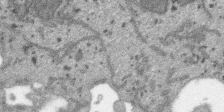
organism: Human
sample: Lung epithelial cells infected with SARS-CoV-2